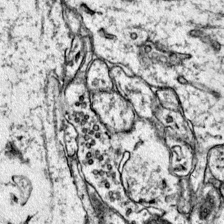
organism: Mouse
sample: Primary visual cortex